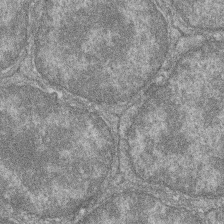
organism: Zebrafish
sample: Cilia; retinal pigment epithelium